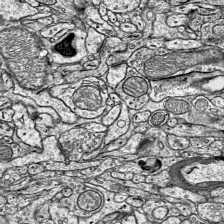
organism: Mouse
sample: Visual Cortex